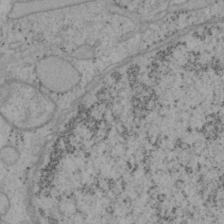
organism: Human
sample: HeLa cells